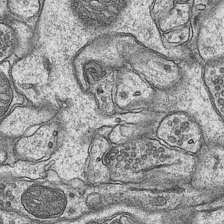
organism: Mouse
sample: CA1 Hippocampus